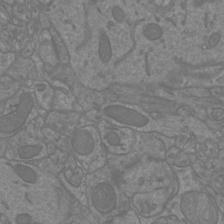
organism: Mouse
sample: Cortical neurons